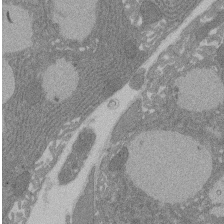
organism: Rat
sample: Salivary granule